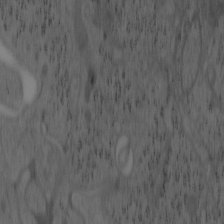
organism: Human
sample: HeLa cells